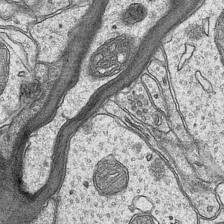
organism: Mouse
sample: CA1 Hippocampus